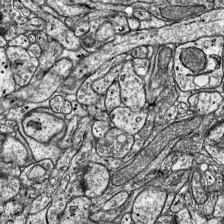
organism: Mouse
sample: Visual Cortex